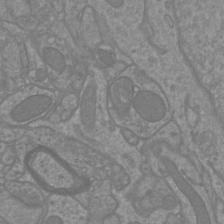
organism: Mouse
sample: Cortical neurons